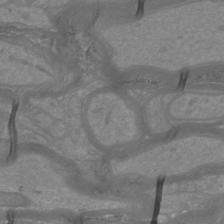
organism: Mouse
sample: Cortical neurons